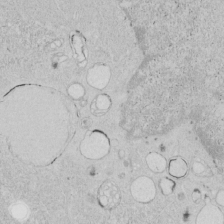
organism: Human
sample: Mitochondria in HCT116 cells